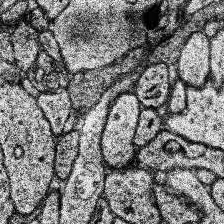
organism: Human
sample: Temporal Lobe